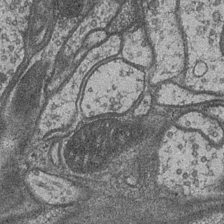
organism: Drosophila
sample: Optic medulla